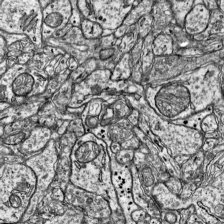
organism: Mouse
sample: Visual Cortex